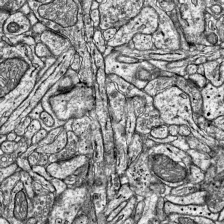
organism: Mouse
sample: Visual Cortex